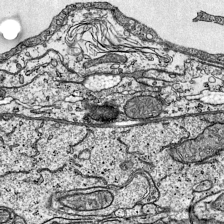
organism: Mouse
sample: Visual Cortex